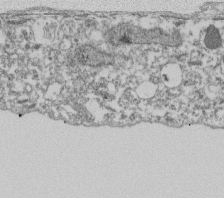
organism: Dictyostelium discoideum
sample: Dictyostelium multivesicular bodies